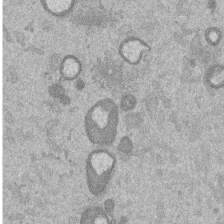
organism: Mouse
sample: Dividing mouse embryo 1 cell stage